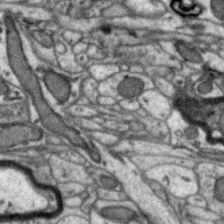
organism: Zebra finch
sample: Brain